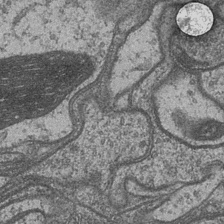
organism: Drosophila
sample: Optic medulla